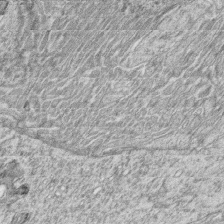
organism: Zebrafish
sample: synaptic ribbons in rod cells and cone cells